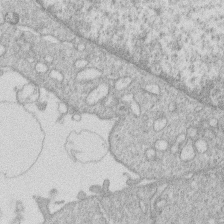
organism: Human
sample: Macrophage cells